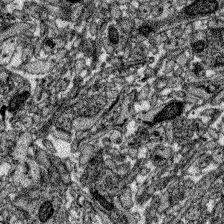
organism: Zebrafish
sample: Larval olfactory bulb